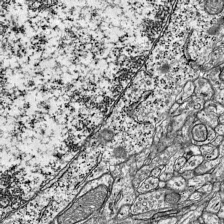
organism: Mouse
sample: Visual Cortex